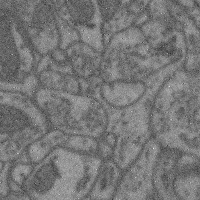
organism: Mouse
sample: Cerebral cortex